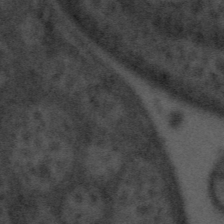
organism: Tuwongella immobilis